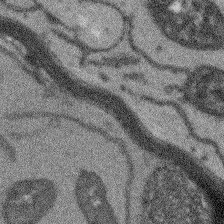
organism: Arabidopsis thaliana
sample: Root tip